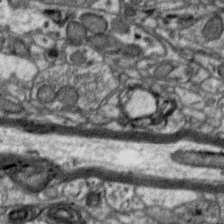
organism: Zebra finch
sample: Brain